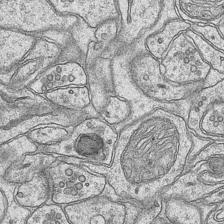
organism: Mouse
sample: CA1 Hippocampus